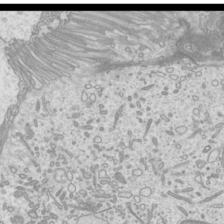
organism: Mouse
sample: Cilia; mouse epididymis